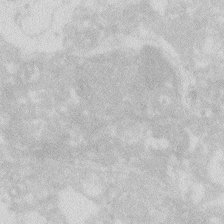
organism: Zebrafish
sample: Macrophage